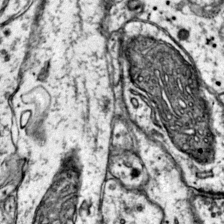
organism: Mouse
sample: Primary visual cortex